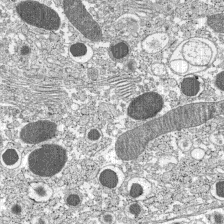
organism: C57BL Mouse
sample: Pancreatic islet